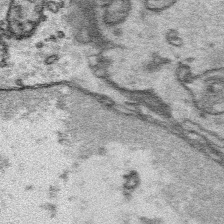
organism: Platynereis dumerilii